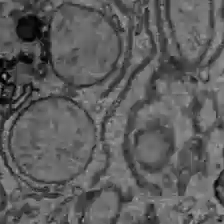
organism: C57BL Mouse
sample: Liver